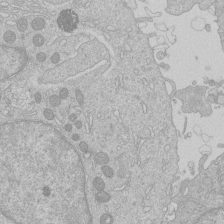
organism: Human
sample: Macrophage cells